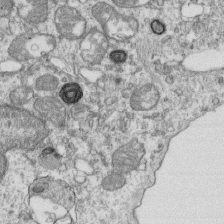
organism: Mouse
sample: Activated OT-1 CD8+ T cells